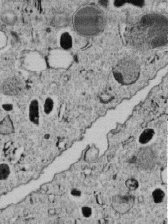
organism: C. elegans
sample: C. elegans embryo early stage